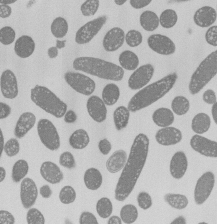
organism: E. coli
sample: Bacterial nucleoid